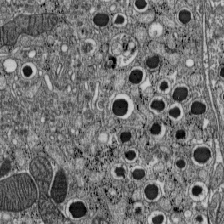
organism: C57BL Mouse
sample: Pancreatic islet